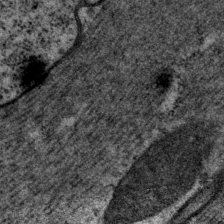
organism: P. pacificus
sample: Pharynx